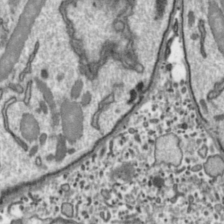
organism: Toxoplasma gondii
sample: Parasites in a vacuole inside a host cell